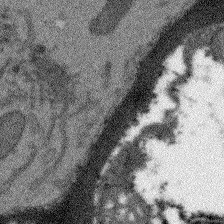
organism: Arabidopsis thaliana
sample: Root tip